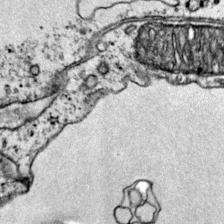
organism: Mouse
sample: Primary visual cortex